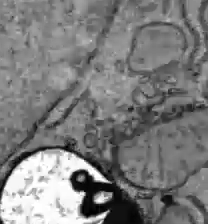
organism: C57BL Mouse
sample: Liver